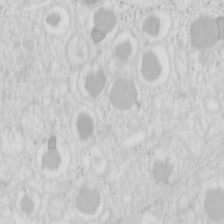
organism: Mouse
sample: Pancreas